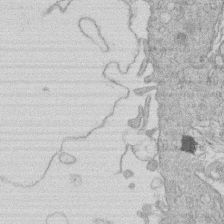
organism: Human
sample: Macrophage cells